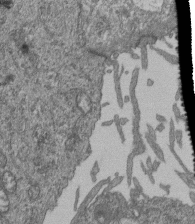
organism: Human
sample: Retinal organoid Rod and Cone cells